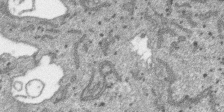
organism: Human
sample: Lung epithelial cells infected with SARS-CoV-2